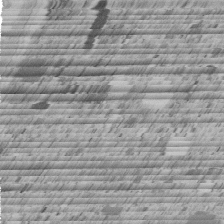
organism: C. elegans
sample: C. elegans embryo early stage